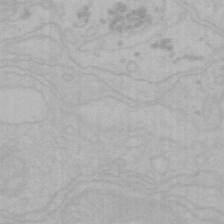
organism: Mouse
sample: Choroid plexus